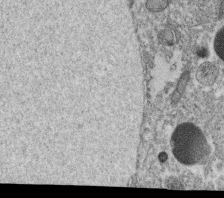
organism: C. elegans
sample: C. elegans oocyte; sperm cells